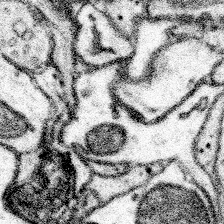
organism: Mouse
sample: Somatosensory cortex neuropil